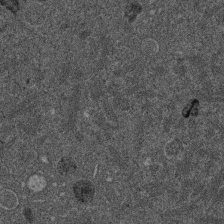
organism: Mouse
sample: Dividing mouse embryo 1 cell stage